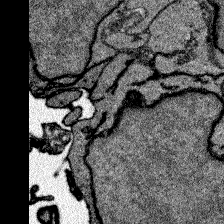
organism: Zebrafish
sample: Larval olfactory bulb